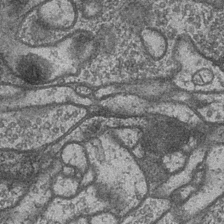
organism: Drosophila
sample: Optic medulla